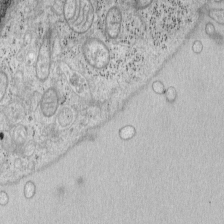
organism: Mouse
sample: OT-I killer T cells with ID8 ovarian cancer cells